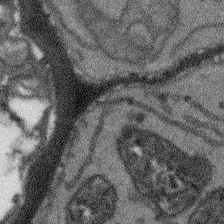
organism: Arabidopsis thaliana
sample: Root tip